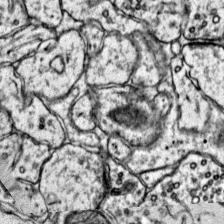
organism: Mouse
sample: Primary visual cortex